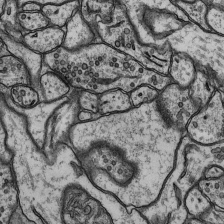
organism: Rat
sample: Hippocampus